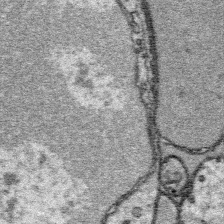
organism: Platynereis dumerilii